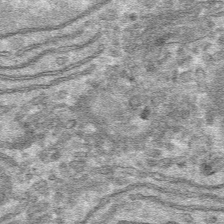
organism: Mouse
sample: Mouse hepatocytes